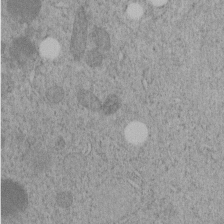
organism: C. elegans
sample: C. elegans embryo early stage